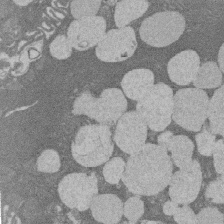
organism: Rat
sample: Salivary granule